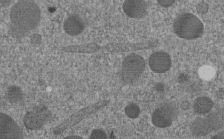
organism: C. elegans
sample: C. elegans embryo early stage